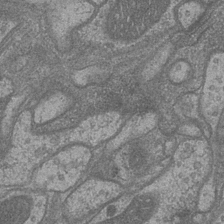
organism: Drosophila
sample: Optic medulla